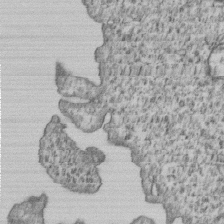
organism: Human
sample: MDA-MB-231 cells